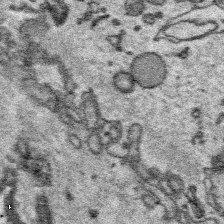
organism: Platynereis dumerilii